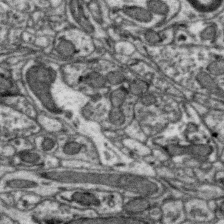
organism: Zebra finch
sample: Brain